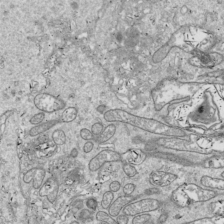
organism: Drosophila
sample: Cell division; meiosis; drosophila spermatocytes